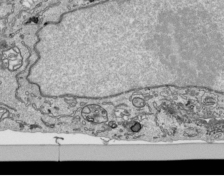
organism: Human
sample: Mitochondria in HCT116 cells